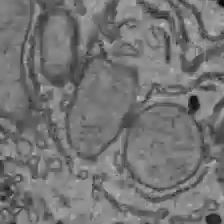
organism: C57BL Mouse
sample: Liver